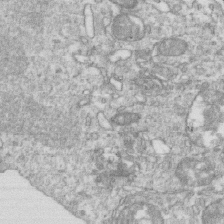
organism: Mouse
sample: Activated OT-1 CD8+ T cells